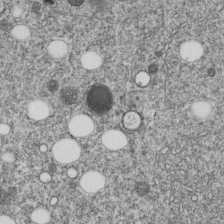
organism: C. elegans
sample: C. elegans embryo early stage